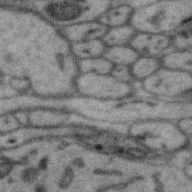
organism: Zebra finch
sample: Brain